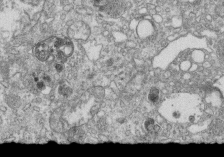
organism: Human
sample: HeLa cell HIV synapse